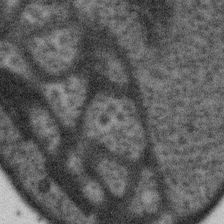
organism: Gemmata obscuriglobus